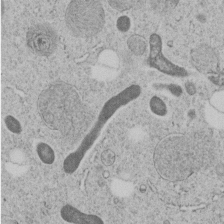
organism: C. elegans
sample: C. elegans embryo early stage